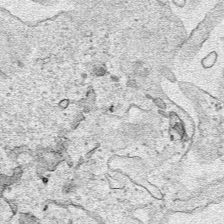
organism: Human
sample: Mitochondria in HCT116 cells